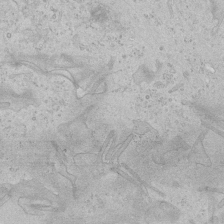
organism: Human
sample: Mitochondria in HCT116 cells